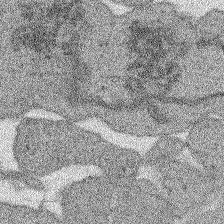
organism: Human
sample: HeLa cells